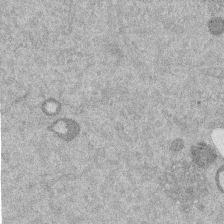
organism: Mouse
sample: Dividing mouse embryo 1 cell stage